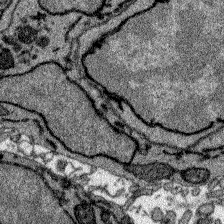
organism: Zebrafish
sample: Larval olfactory bulb